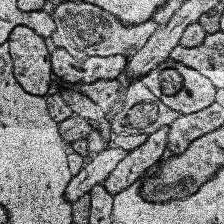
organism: Human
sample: Temporal Lobe